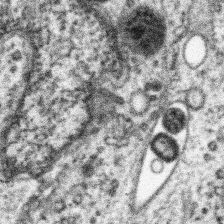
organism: Human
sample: HeLa cells